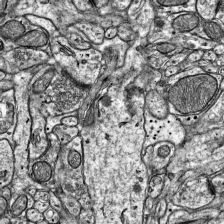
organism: Mouse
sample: Visual Cortex